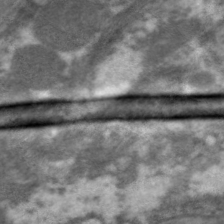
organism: C. elegans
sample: Pharynx